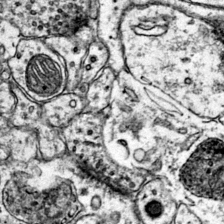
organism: Mouse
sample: Primary visual cortex